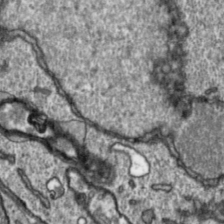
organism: Toxoplasma gondii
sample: Parasites in a vacuole inside a host cell